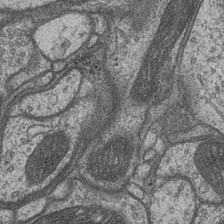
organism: Drosophila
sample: Optic medulla